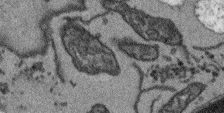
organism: Arabidopsis thaliana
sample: Root tip